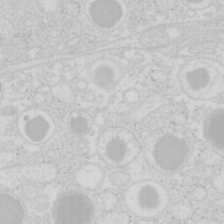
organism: Mouse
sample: Pancreas